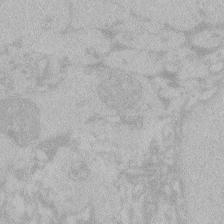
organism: Zebrafish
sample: Macrophage infected with Toxoplasma gondii